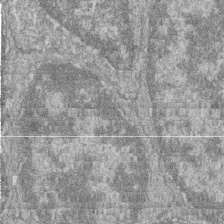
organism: Zebrafish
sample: Cilia; retinal pigment epithelium